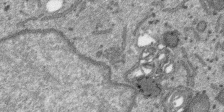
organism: Human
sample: Lung epithelial cells infected with SARS-CoV-2